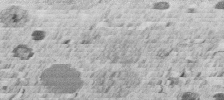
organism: C. elegans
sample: C. elegans embryo early stage